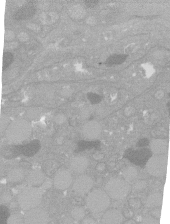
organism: C. elegans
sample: C. elegans oocyte; sperm cells